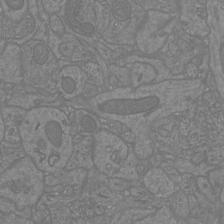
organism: Mouse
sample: Cortical neurons